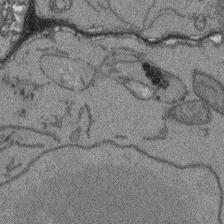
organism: Arabidopsis thaliana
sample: Root tip